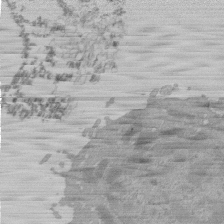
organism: Mouse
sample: Activated Pmel transgenic CD8+ T Cells